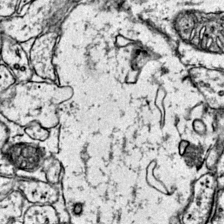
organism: Mouse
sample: Primary visual cortex